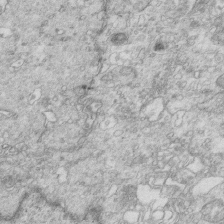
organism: Mouse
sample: Multiciliated cells